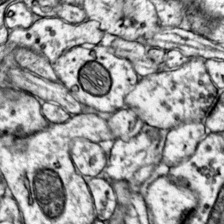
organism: Mouse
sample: Primary visual cortex